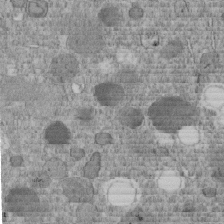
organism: C. elegans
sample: C. elegans embryo early stage